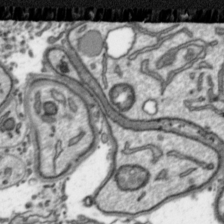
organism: Toxoplasma gondii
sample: Parasites in a vacuole inside a host cell